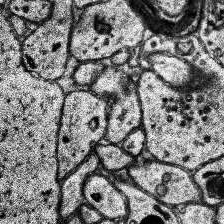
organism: Human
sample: Temporal Lobe